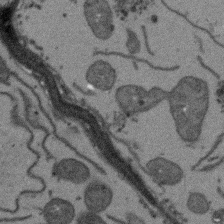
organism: Arabidopsis thaliana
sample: Root tip